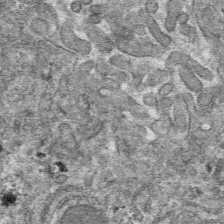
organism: Mouse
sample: Mouse hepatocytes